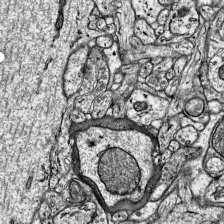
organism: Mouse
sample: Visual Cortex